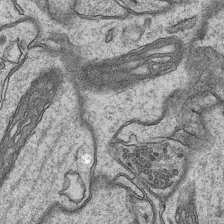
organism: Mouse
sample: CA1 Hippocampus